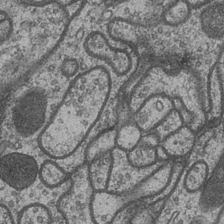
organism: Drosophila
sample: Optic medulla